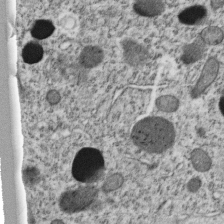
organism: C. elegans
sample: C. elegans embryo early stage